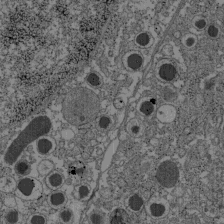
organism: C57BL Mouse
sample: Pancreatic islet